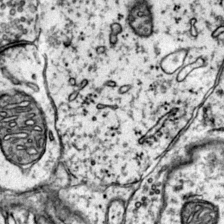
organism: Mouse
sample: Primary visual cortex